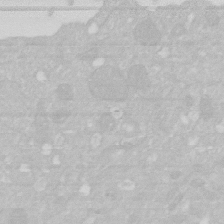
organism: Human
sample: HIV infected U937 cells